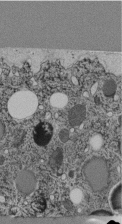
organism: C. elegans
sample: C. elegans pharynx